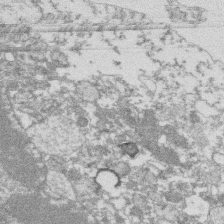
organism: Human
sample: HeLa cell HIV synapse